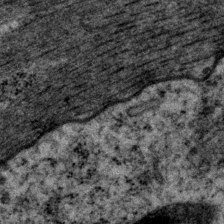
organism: P. pacificus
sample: Pharynx